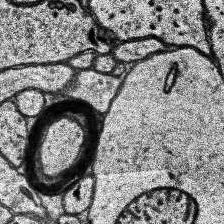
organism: Human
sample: Temporal Lobe